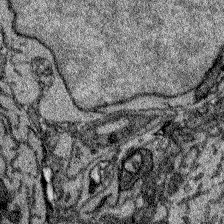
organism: Zebrafish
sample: Larval olfactory bulb